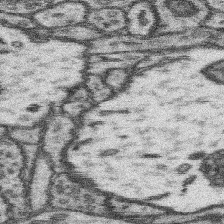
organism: Mouse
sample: Somatosensory cortex neuropil